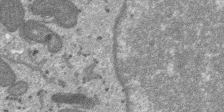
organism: Human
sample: Lung epithelial cells infected with SARS-CoV-2